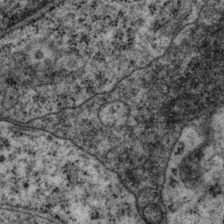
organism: P. pacificus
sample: Pharynx